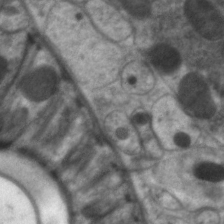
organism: C. elegans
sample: Pharynx